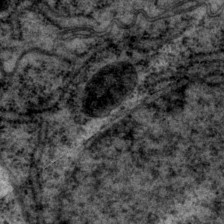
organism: P. pacificus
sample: Pharynx